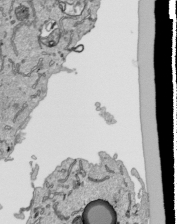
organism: Human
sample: Mitochondria in HCT116 cells